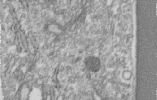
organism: Human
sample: Centriole in RPE cells